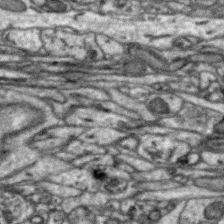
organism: Zebra finch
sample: Brain